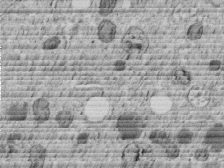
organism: C. elegans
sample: C. elegans embryo early stage